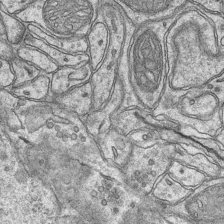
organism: Mouse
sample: CA1 Hippocampus